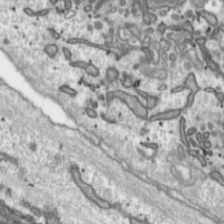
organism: Toxoplasma gondii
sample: Parasites in a vacuole inside a host cell